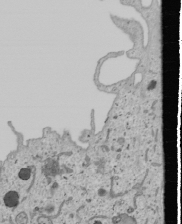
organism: Human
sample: Mitochondria in U2OS cells